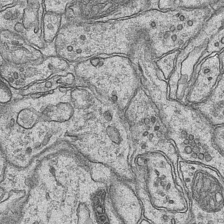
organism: Mouse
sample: CA1 Hippocampus